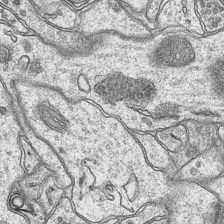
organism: Mouse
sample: CA1 Hippocampus